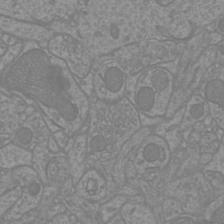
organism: Mouse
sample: Cortical neurons